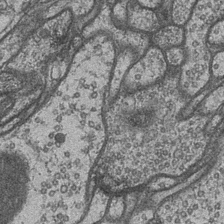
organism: Drosophila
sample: Optic medulla